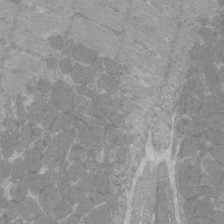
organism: C57BL Mouse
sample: Tibialis anterior muscle cell